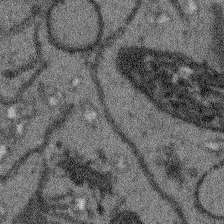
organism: Arabidopsis thaliana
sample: Root tip